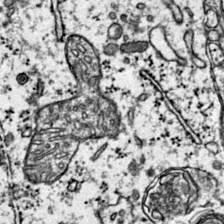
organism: Mouse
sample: Primary visual cortex